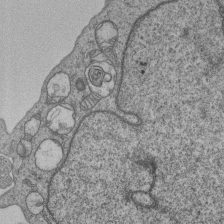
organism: Human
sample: MDA-MB-231 cells